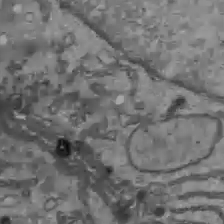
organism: C57BL Mouse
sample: Liver